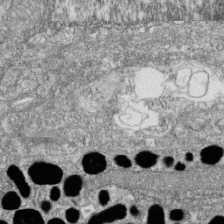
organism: Zebrafish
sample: Cilia; retinal pigment epithelium